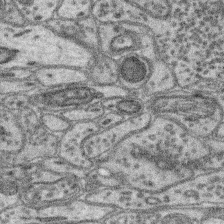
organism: Mouse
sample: Retina